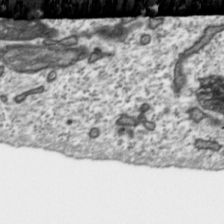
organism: Toxoplasma gondii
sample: Parasites in a vacuole inside a host cell